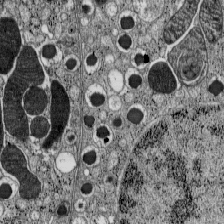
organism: C57BL Mouse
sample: Pancreatic islet